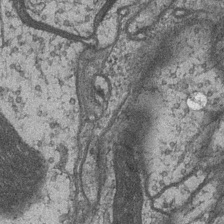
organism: Drosophila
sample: Optic medulla